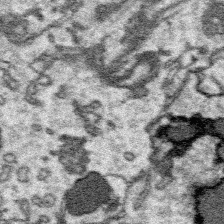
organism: Platynereis dumerilii